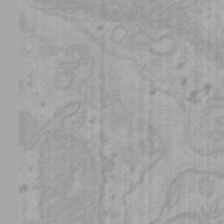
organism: Mouse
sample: Choroid plexus